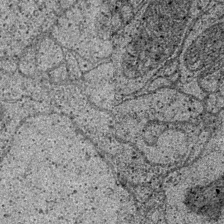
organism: Drosophila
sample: Optic medulla